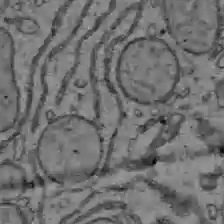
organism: C57BL Mouse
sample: Liver